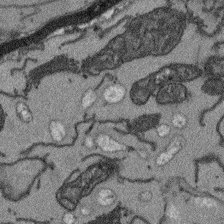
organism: Arabidopsis thaliana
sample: Root tip